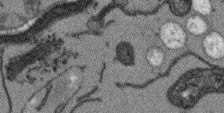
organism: Arabidopsis thaliana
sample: Root tip